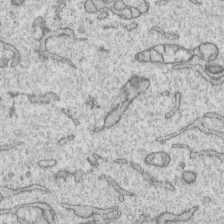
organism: Human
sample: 1205lu cells